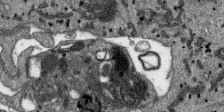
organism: Human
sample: Lung epithelial cells, uninfected (mock) control